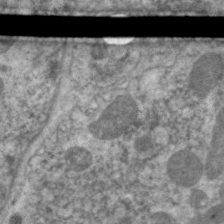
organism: C. elegans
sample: Pharynx